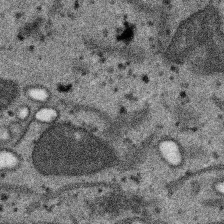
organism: Human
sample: Lung epithelial cells infected with SARS-CoV-2